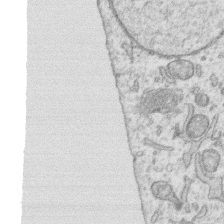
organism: Human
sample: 1205lu cells